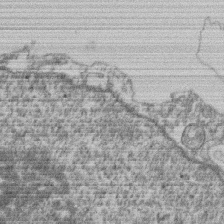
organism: Mouse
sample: T cell stromal cell synapse